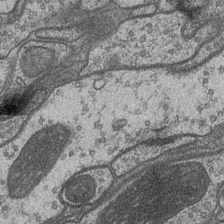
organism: Drosophila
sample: Optic medulla